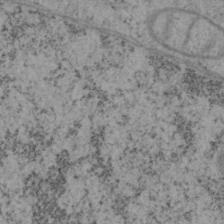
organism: Human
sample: HeLa cells